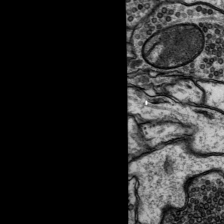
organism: Rat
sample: Hippocampus